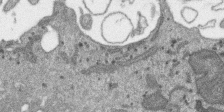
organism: Human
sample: Lung epithelial cells infected with SARS-CoV-2